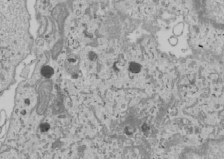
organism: Human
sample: Mitochondria in U2OS cells